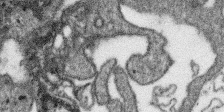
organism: Human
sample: Lung epithelial cells infected with SARS-CoV-2